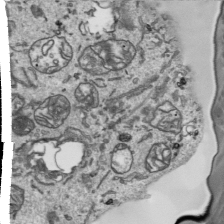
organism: Human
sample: Mitochondria in HCT116 cells